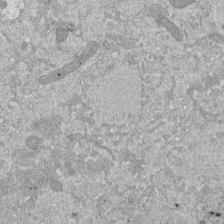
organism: Mouse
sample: ED-1 cell nuclei; centrioles